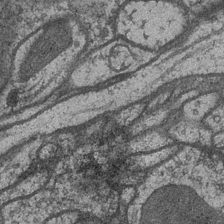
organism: Drosophila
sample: Optic medulla